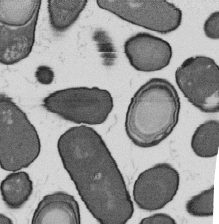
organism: B. subtilis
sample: Bacterial spore